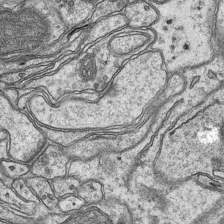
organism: Mouse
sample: CA1 Hippocampus